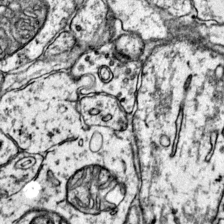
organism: Mouse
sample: Primary visual cortex